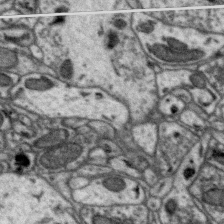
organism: Zebra finch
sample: Brain